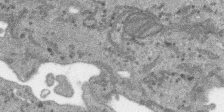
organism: Human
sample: Lung epithelial cells infected with SARS-CoV-2